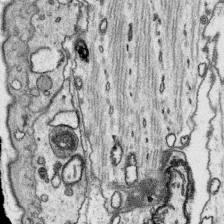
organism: Platynereis dumerilii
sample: Parapodia